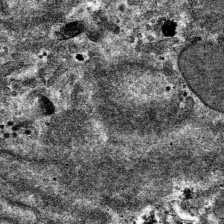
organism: Mouse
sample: Mouse hepatocytes